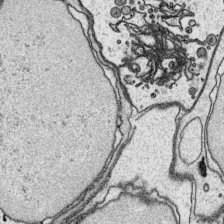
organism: Platynereis dumerilii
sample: Parapodia